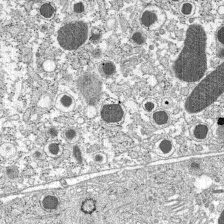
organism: C57BL Mouse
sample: Pancreatic islet